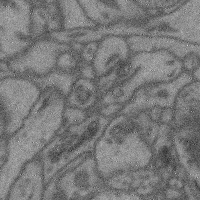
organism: Mouse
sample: Cerebral cortex